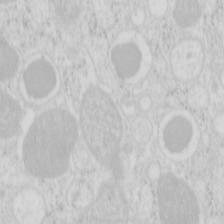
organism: Mouse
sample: Pancreas